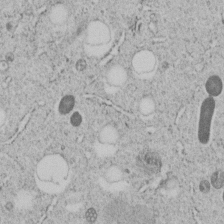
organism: C. elegans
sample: C. elegans embryo early stage